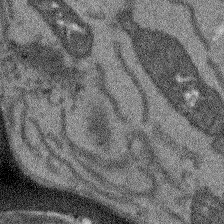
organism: Arabidopsis thaliana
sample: Root tip